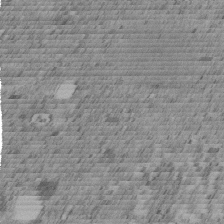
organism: C. elegans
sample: C. elegans embryo early stage